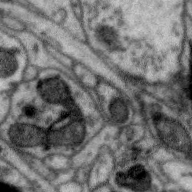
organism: Zebra finch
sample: Brain